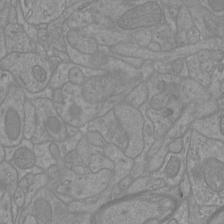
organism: Mouse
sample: Cortical neurons